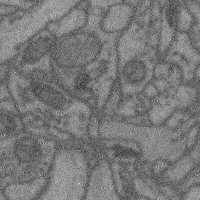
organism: Mouse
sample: Cerebral cortex